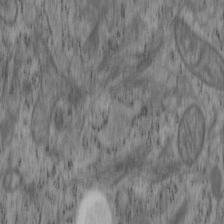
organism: Human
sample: HeLa cells